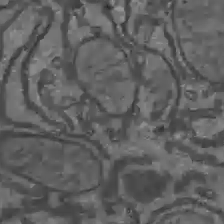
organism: C57BL Mouse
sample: Liver